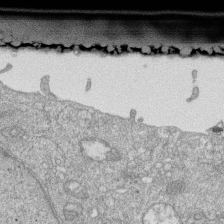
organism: Human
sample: HeLa cell HIV synapse